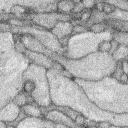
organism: Rabbit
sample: Retina